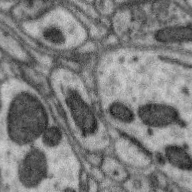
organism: Zebra finch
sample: Brain